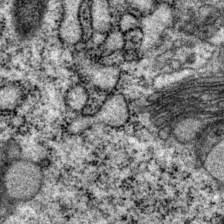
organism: P. pacificus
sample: Pharynx